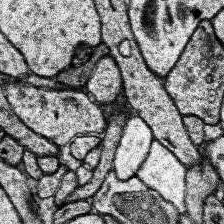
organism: Human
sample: Temporal Lobe